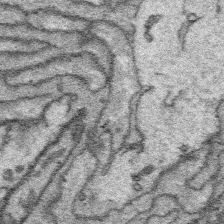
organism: Platynereis dumerilii